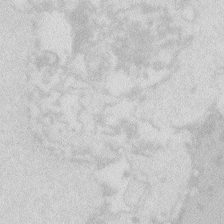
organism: Zebrafish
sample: Macrophage